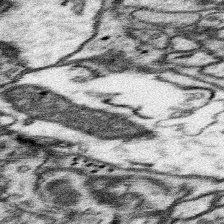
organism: Mouse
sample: Somatosensory cortex neuropil